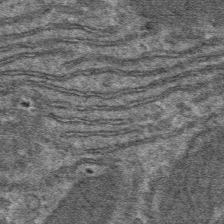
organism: Mouse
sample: Mouse hepatocytes